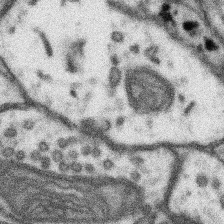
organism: Mouse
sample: Somatosensory cortex neuropil